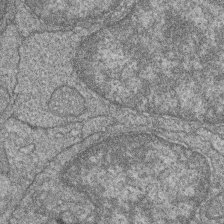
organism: Zebrafish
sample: Cilia; retinal pigment epithelium